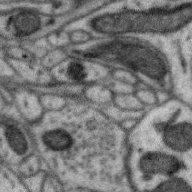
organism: Zebra finch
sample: Brain